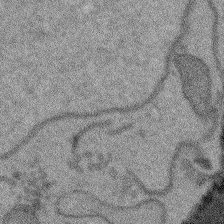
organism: Arabidopsis thaliana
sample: Root tip